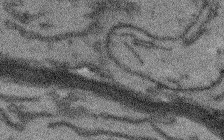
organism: Arabidopsis thaliana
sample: Root tip